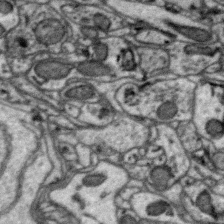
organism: Zebra finch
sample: Brain